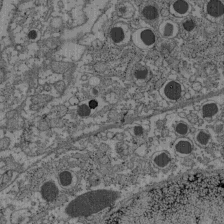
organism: C57BL Mouse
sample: Pancreatic islet